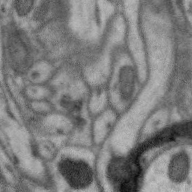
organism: Zebra finch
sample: Brain